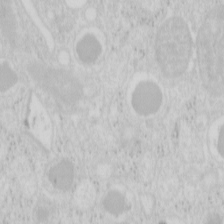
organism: Mouse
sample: Pancreas